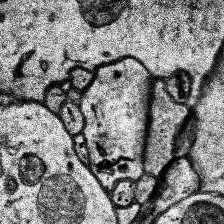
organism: Human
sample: Temporal Lobe